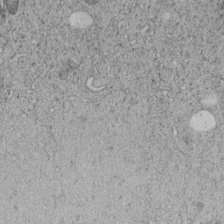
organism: C. elegans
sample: C. elegans embryo early stage